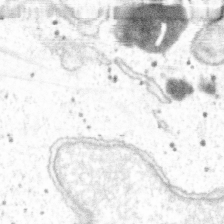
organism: Human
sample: HeLa cells